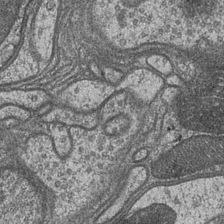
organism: Drosophila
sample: Optic medulla